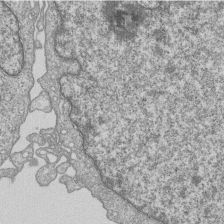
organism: Human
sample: MDA-MB-231 cells